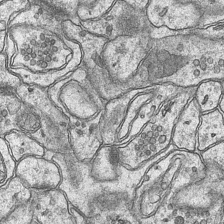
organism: Mouse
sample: CA1 Hippocampus